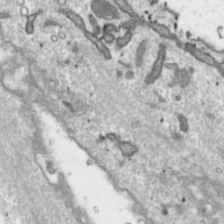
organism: Toxoplasma gondii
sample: Parasites in a vacuole inside a host cell